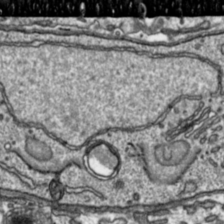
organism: Toxoplasma gondii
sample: Parasites in a vacuole inside a host cell